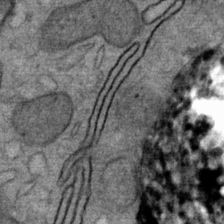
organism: Mouse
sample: Mouse Salivary gland